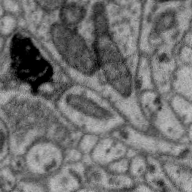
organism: Zebra finch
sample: Brain